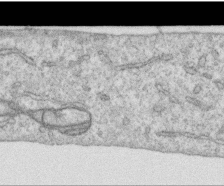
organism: Human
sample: Centriole in RPE cells